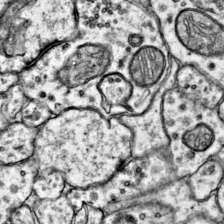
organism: Mouse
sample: Primary visual cortex